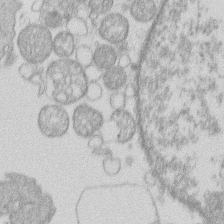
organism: Human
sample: Macrophage cells